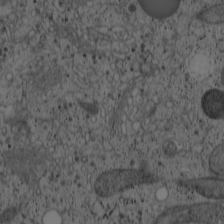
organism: African green monkey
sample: COS-7 cells